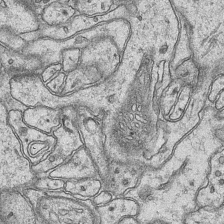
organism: Mouse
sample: CA1 Hippocampus